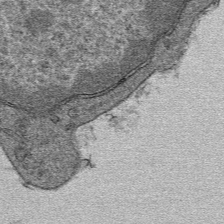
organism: Mouse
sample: Mouse hepatocytes